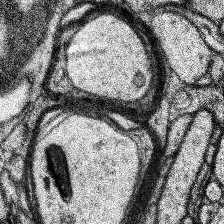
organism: Human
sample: Temporal Lobe